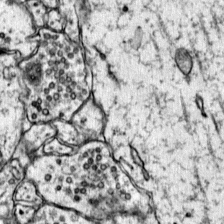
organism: Mouse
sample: Primary visual cortex